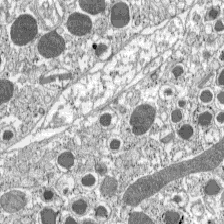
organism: C57BL Mouse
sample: Pancreatic islet